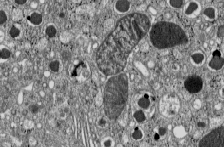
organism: C57BL Mouse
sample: Pancreatic islet